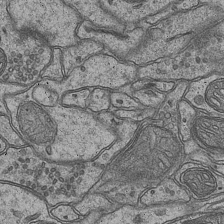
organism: Mouse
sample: CA1 Hippocampus